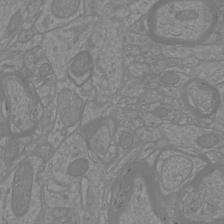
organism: Mouse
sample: Cortical neurons